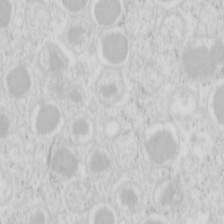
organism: Mouse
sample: Pancreas